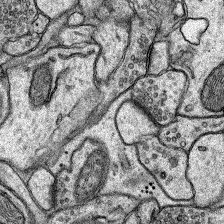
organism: Rat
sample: Hippocampus